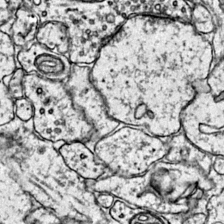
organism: Mouse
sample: Primary visual cortex